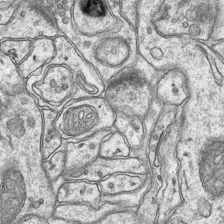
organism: Mouse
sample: CA1 Hippocampus